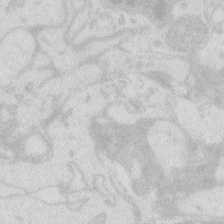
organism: Zebrafish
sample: Macrophage